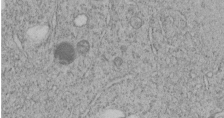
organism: C. elegans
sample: C. elegans embryo early stage